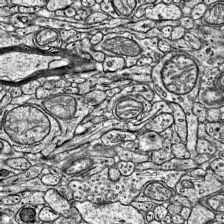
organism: Mouse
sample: Visual Cortex